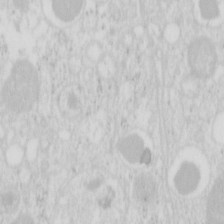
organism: Mouse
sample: Pancreas